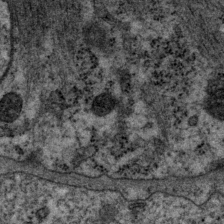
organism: P. pacificus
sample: Pharynx